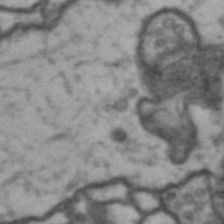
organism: Drosophila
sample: Brain